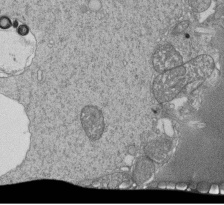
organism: Tetrahymena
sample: Cilia in tetrahymena